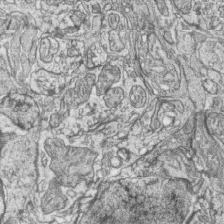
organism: Zebrafish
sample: synaptic ribbons in rod cells and cone cells